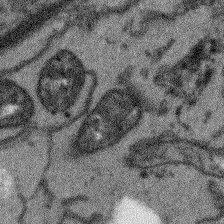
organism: Arabidopsis thaliana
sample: Root tip